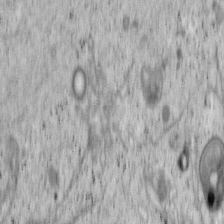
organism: Human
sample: HeLa cells